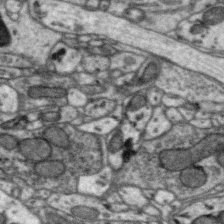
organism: Zebra finch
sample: Brain